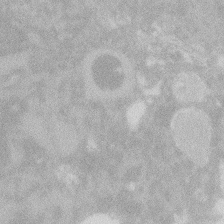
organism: Zebrafish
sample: Macrophage